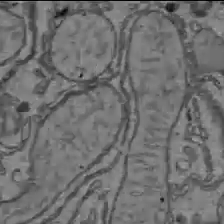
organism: C57BL Mouse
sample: Liver